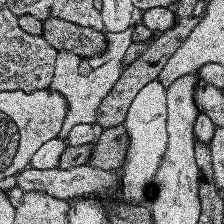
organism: Human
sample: Temporal Lobe